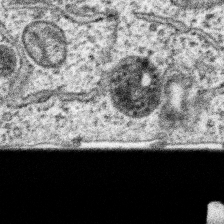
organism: Human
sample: HeLa cells